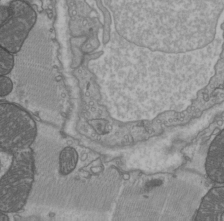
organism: C57BL Mouse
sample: Heart